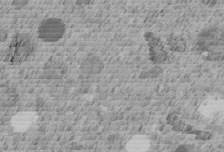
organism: C. elegans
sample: C. elegans embryo early stage